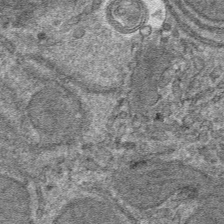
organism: Mouse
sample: Mouse hepatocytes